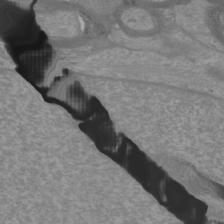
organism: Mouse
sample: Cortical neurons